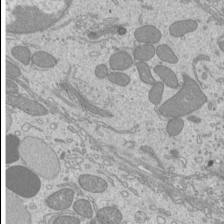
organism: Mouse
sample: Cilia; mouse epididymis